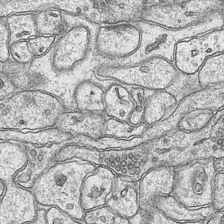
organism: Mouse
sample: CA1 Hippocampus